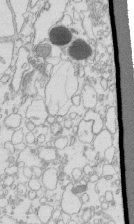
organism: Mouse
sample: Macrophages